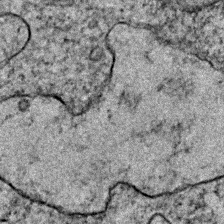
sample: Trachea